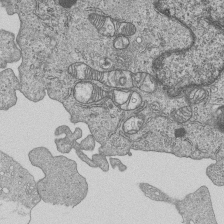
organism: Human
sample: MDA-MB-231 cells